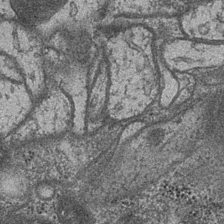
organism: Drosophila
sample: Optic medulla